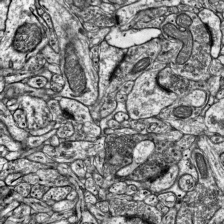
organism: Mouse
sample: Visual Cortex